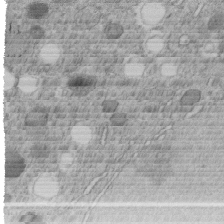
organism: C. elegans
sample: C. elegans embryo early stage